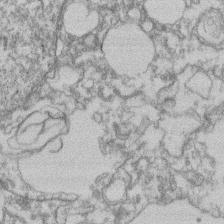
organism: Mouse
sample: T cell stromal cell synapse